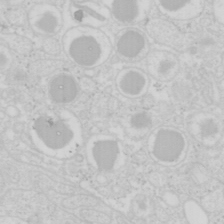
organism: Mouse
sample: Pancreas